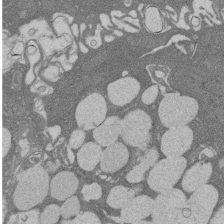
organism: Rat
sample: Salivary granule